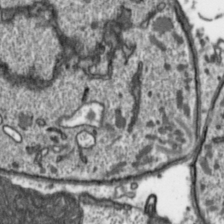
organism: Toxoplasma gondii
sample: Parasites in a vacuole inside a host cell